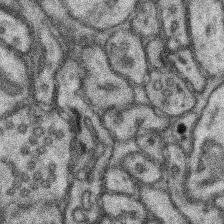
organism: Mouse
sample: Somatosensory cortex neuropil